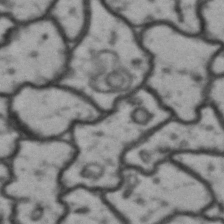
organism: Drosophila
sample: Brain